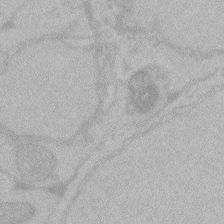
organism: Zebrafish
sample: Macrophage infected with Toxoplasma gondii